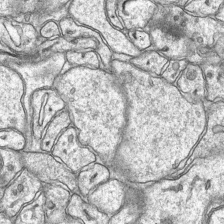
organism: Mouse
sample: CA1 Hippocampus